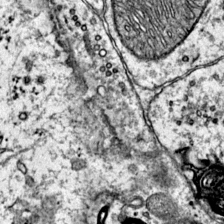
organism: Mouse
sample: Primary visual cortex